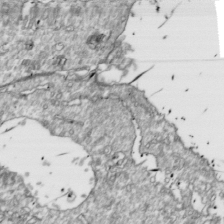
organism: Drosophila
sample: Cell division; meiosis; drosophila spermatocytes